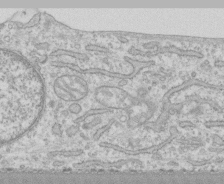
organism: Human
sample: CRL-1474